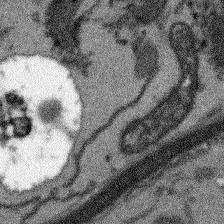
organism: Arabidopsis thaliana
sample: Root tip